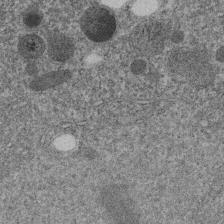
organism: C. elegans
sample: C. elegans embryo early stage